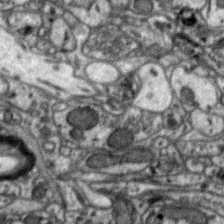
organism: Zebra finch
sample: Brain